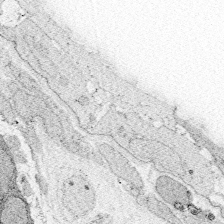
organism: Zebrafish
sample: Whole-Brain